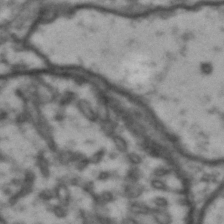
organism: Drosophila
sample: Brain